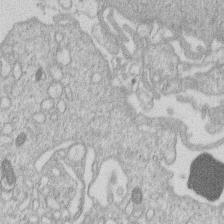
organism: Human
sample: Macrophage cells